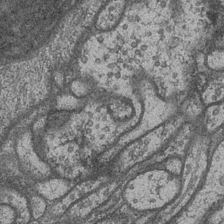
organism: Drosophila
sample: Optic medulla